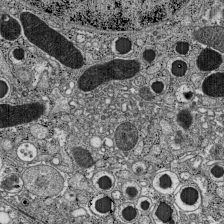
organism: C57BL Mouse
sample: Pancreatic islet